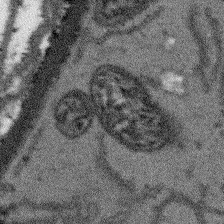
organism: Arabidopsis thaliana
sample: Root tip